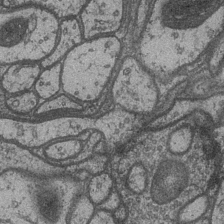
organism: Drosophila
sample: Optic medulla